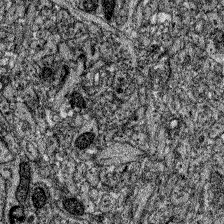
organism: Zebrafish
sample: Larval olfactory bulb